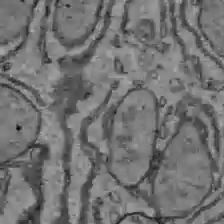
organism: C57BL Mouse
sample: Liver